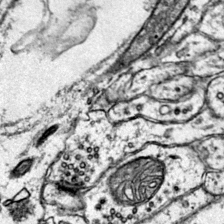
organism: Mouse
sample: Primary visual cortex